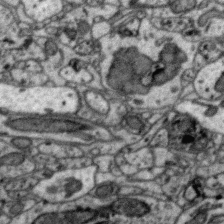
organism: Zebra finch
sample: Brain